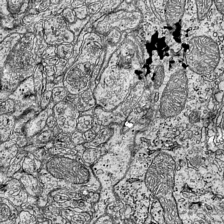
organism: Mouse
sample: Visual Cortex